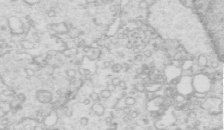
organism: Mouse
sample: Multiciliated cells